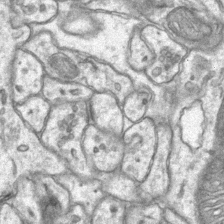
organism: Mouse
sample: CA1 Hippocampus